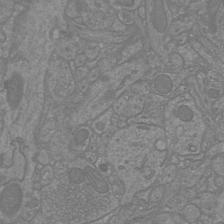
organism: Mouse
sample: Cortical neurons